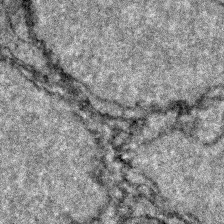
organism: Zebrafish